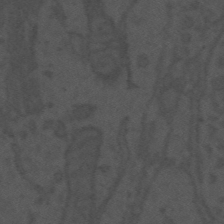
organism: Mouse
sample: Suprachiasmatic nucleus